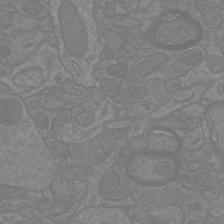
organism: Mouse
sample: Cortical neurons